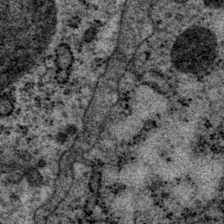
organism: P. pacificus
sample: Pharynx